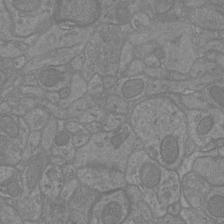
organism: Mouse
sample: Cortical neurons